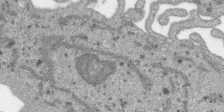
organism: Human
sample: Lung epithelial cells infected with SARS-CoV-2